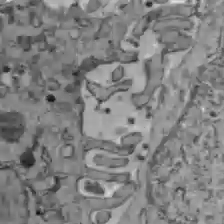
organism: C57BL Mouse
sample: Liver